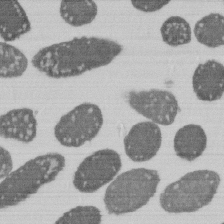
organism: E. coli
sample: Bacterial nucleoid